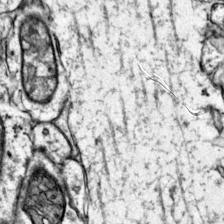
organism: Mouse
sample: Primary visual cortex